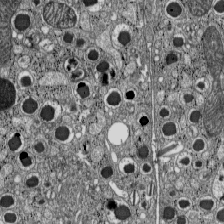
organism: C57BL Mouse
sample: Pancreatic islet